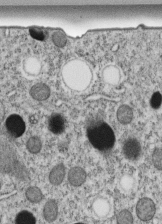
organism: C. elegans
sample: C. elegans embryo early stage